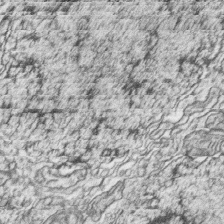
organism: Zebrafish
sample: synaptic ribbons in rod cells and cone cells